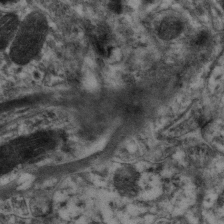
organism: Mouse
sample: Neocortex